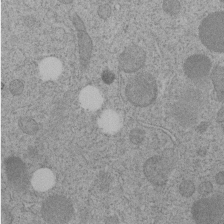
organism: C. elegans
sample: C. elegans embryo early stage